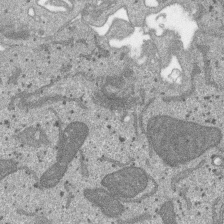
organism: Human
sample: Lung epithelial cells infected with SARS-CoV-2